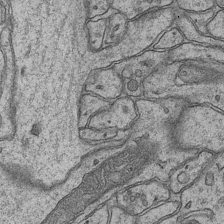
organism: Mouse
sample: CA1 Hippocampus